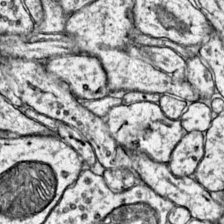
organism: Mouse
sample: Primary visual cortex